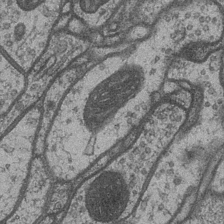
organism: Drosophila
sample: Optic medulla